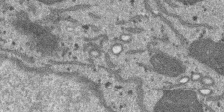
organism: Human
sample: Lung epithelial cells infected with SARS-CoV-2